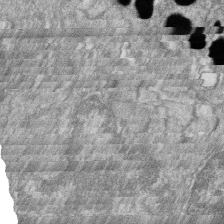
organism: Zebrafish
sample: Cilia; retinal pigment epithelium